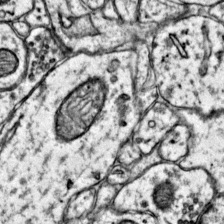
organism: Mouse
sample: Primary visual cortex